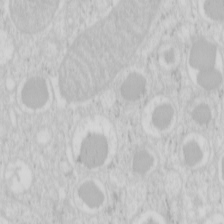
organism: Mouse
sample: Pancreas